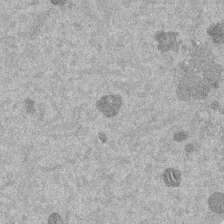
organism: Mouse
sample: Dividing mouse embryo 1 cell stage